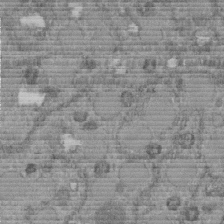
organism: C. elegans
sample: C. elegans embryo early stage